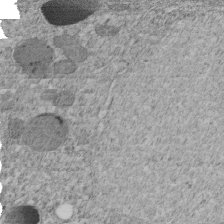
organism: C. elegans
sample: C. elegans embryo early stage